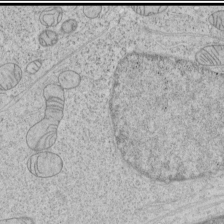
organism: Human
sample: Mitochondria in HCT116 cells